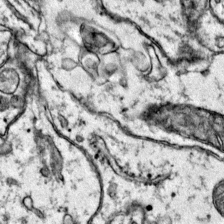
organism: Mouse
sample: Primary visual cortex